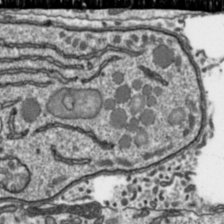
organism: Toxoplasma gondii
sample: Parasites in a vacuole inside a host cell